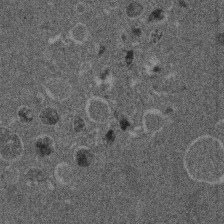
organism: Mouse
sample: Dividing mouse embryo 1 cell stage